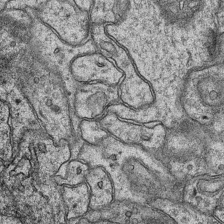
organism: Mouse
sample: CA1 Hippocampus